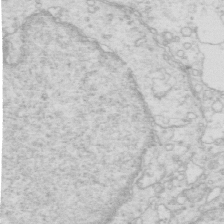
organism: Mouse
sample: Multiciliated cells